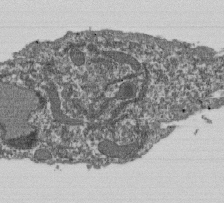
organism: Dictyostelium discoideum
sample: Dictyostelium multivesicular bodies